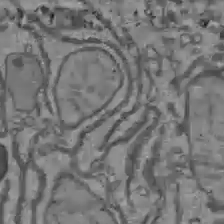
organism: C57BL Mouse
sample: Liver